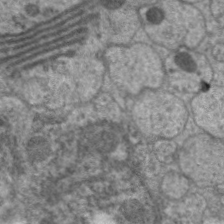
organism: C. elegans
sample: Pharynx